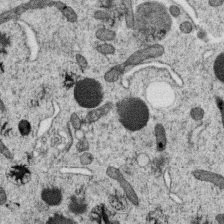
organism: C. elegans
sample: C. elegans oocyte; sperm cells